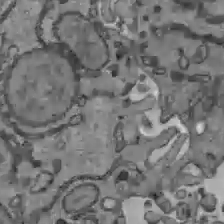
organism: C57BL Mouse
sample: Liver